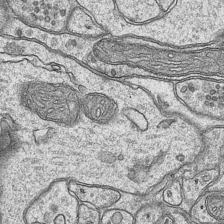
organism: Mouse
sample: CA1 Hippocampus